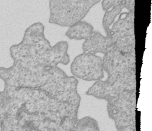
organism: Human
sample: MDA-MB-231 cells